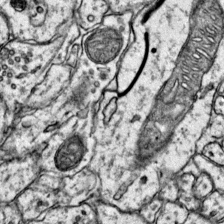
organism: Mouse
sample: Primary visual cortex